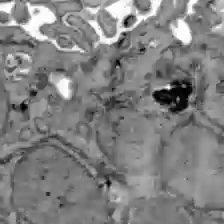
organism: C57BL Mouse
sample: Liver